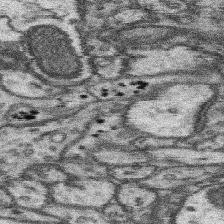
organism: Mouse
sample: Somatosensory cortex neuropil